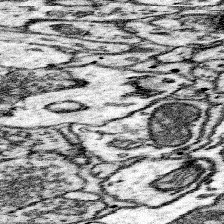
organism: Mouse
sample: Somatosensory cortex neuropil